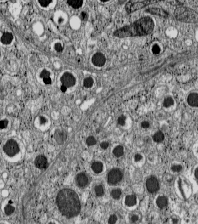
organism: C57BL Mouse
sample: Pancreatic islet